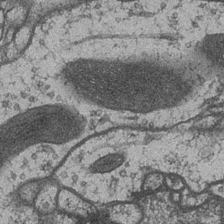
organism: Drosophila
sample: Optic medulla